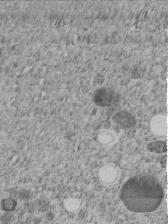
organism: C. elegans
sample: C. elegans embryo early stage